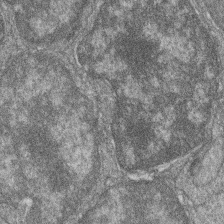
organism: Zebrafish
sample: Cilia; retinal pigment epithelium